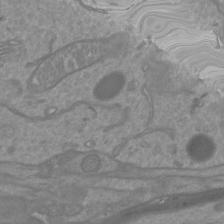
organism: Mouse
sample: Cortical neurons